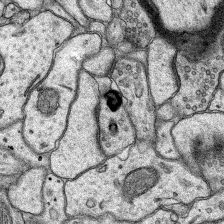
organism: Rat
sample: Hippocampus